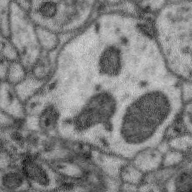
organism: Zebra finch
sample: Brain